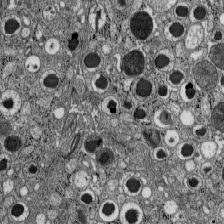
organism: C57BL Mouse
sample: Pancreatic islet